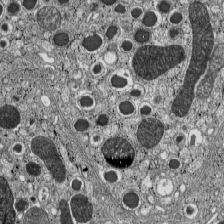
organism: C57BL Mouse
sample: Pancreatic islet